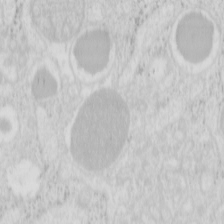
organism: Mouse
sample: Pancreas